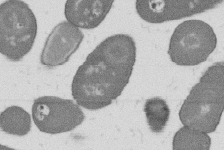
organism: B. subtilis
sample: Bacterial spore